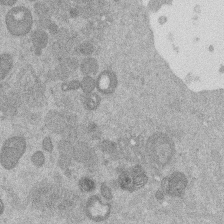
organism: Mouse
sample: Dividing mouse embryo 1 cell stage